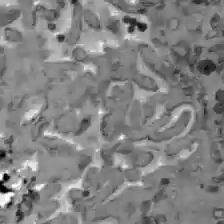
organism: C57BL Mouse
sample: Liver